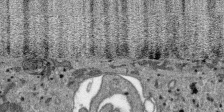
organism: Human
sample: Lung epithelial cells, uninfected (mock) control